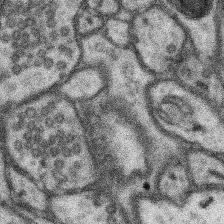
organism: Mouse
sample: Somatosensory cortex neuropil